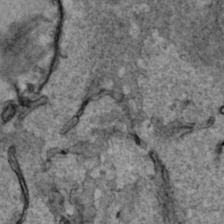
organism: Human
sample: Mitochondria in HCT116 cells